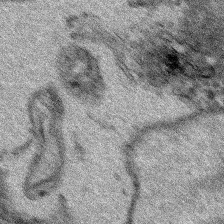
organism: Human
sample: Mitochondria in HCT116 cells